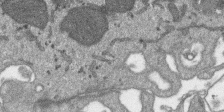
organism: Human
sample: Lung epithelial cells infected with SARS-CoV-2